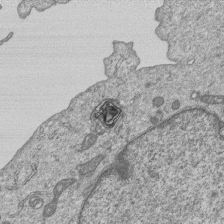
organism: Human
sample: MDA-MB-231 cells